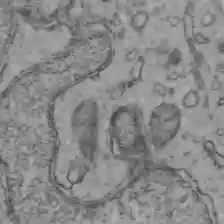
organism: C57BL Mouse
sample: Liver